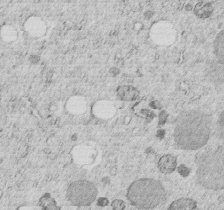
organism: C. elegans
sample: C. elegans embryo early stage